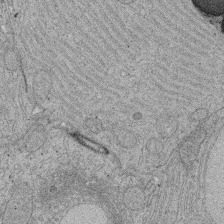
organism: Rat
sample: Salivary granule